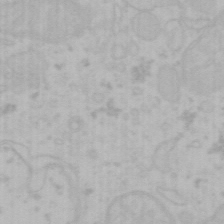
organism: Mouse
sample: Choroid plexus